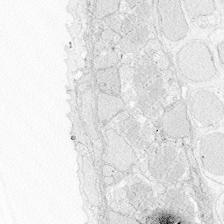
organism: Zebrafish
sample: Whole-Brain